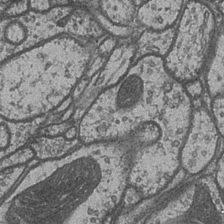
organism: Drosophila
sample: Optic medulla